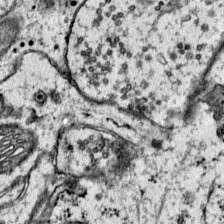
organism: Mouse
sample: Primary visual cortex